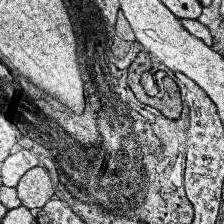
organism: Human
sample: Temporal Lobe